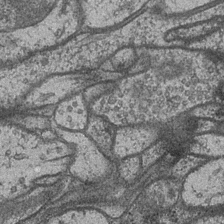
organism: Drosophila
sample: Optic medulla